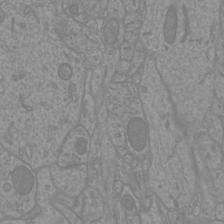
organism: Mouse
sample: Cortical neurons